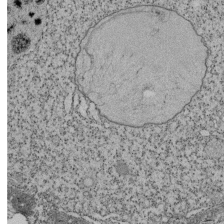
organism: Tetrahymena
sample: Cilia in tetrahymena